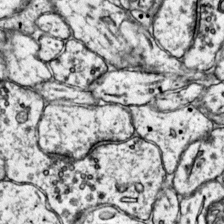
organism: Mouse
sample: Primary visual cortex